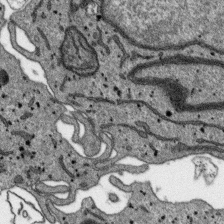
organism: Human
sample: Lung epithelial cells, uninfected (mock) control